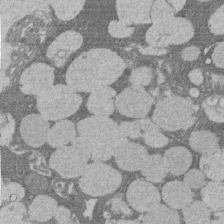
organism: Rat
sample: Salivary granule